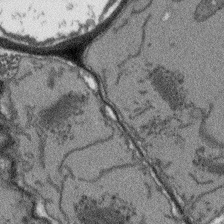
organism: Arabidopsis thaliana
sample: Root tip